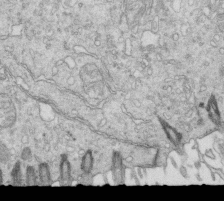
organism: Mouse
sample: Multiciliated cells